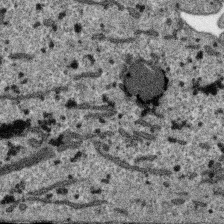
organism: Human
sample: Lung epithelial cells infected with SARS-CoV-2